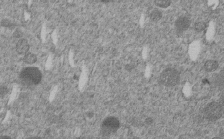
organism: C. elegans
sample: C. elegans embryo early stage